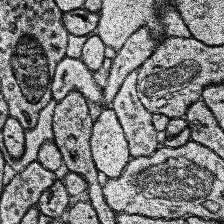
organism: Human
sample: Temporal Lobe